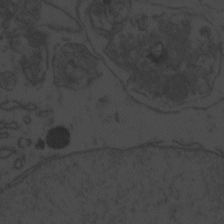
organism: Zebrafish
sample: Macrophage infected with Toxoplasma gondii